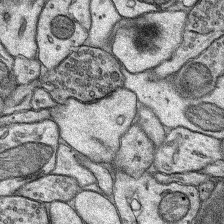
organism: Rat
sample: Hippocampus